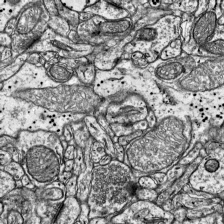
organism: Mouse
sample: Visual Cortex